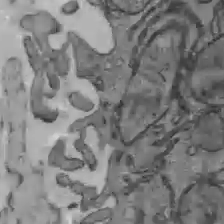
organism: C57BL Mouse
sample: Liver